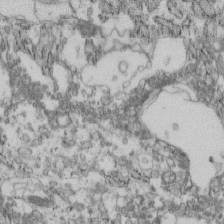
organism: Mouse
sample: Cilia; retinal pigment epithelium